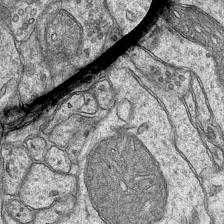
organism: Mouse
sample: CA1 Hippocampus